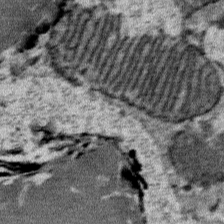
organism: Mouse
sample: Mouse Salivary gland